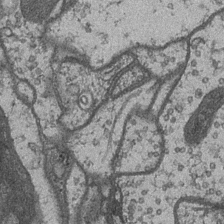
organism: Drosophila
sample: Optic medulla